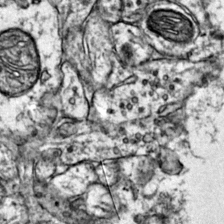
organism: Mouse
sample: Primary visual cortex